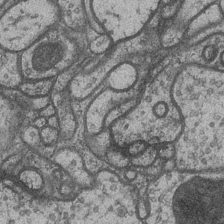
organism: Drosophila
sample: Optic medulla